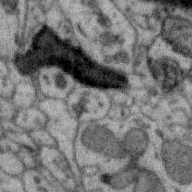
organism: Zebra finch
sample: Brain